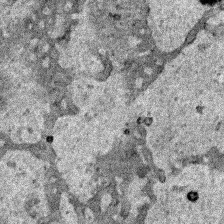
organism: Human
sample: Mitochondria in HCT116 cells